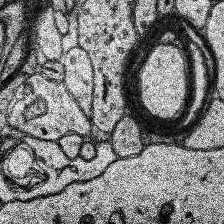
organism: Human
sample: Temporal Lobe